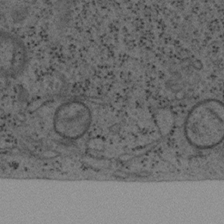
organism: Human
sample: HeLa cells